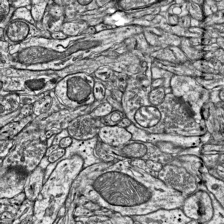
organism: Mouse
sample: Visual Cortex